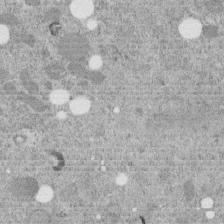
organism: C. elegans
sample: C. elegans embryo early stage